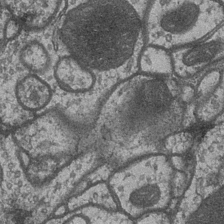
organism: Drosophila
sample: Optic medulla